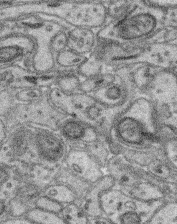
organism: Mouse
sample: Retina